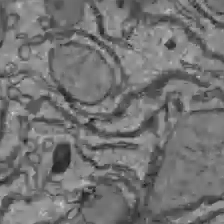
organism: C57BL Mouse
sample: Liver